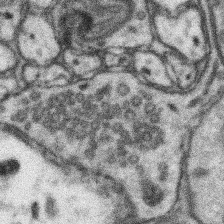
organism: Mouse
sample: Somatosensory cortex neuropil